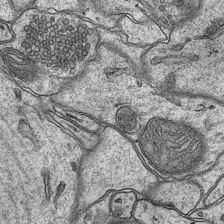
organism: Mouse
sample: CA1 Hippocampus